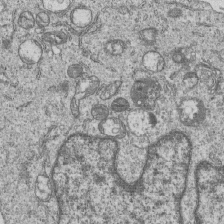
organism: Human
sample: MDA-MB-231 cells